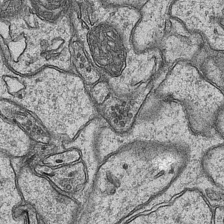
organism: Mouse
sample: CA1 Hippocampus